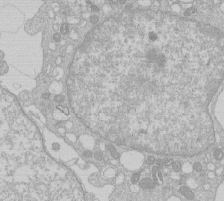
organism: Human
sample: Macrophage cells